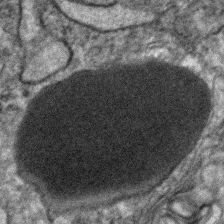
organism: Human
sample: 1205lu cells